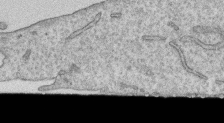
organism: Human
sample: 1205lu cells